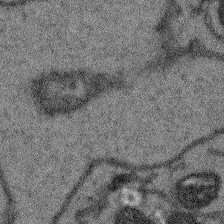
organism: Arabidopsis thaliana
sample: Root tip